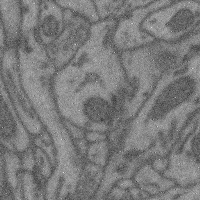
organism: Mouse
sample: Cerebral cortex